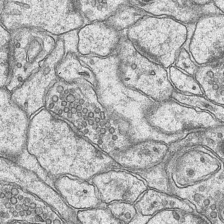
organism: Mouse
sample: CA1 Hippocampus